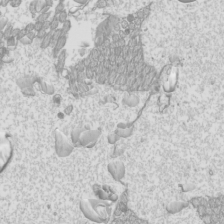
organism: Mouse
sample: Cilia; mouse epididymis